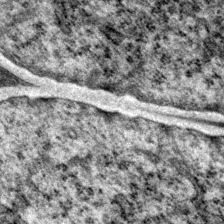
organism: P. pacificus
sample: Pharynx